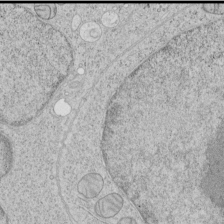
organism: Human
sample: Mitochondria in HCT116 cells